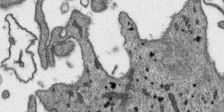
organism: Human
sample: Lung epithelial cells, uninfected (mock) control